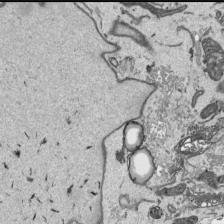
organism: Human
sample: Mitochondria in HCT116 cells